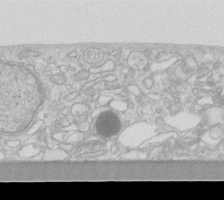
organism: Human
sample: Fibroblast cells